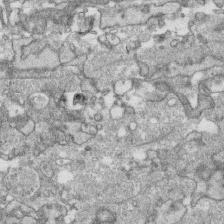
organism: Human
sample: CRL-1474